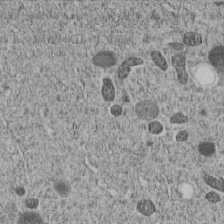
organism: C. elegans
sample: C. elegans embryo early stage